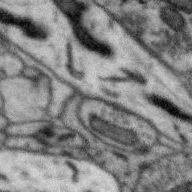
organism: Zebra finch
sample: Brain